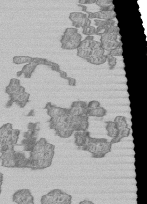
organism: Human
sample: MDA-MB-231 cells